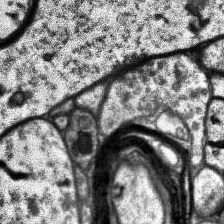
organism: Human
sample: Temporal Lobe